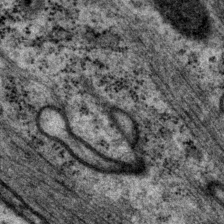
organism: P. pacificus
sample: Pharynx